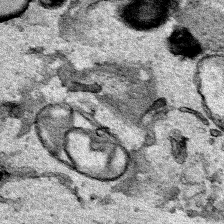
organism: Human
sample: Mitochondria in HCT116 cells